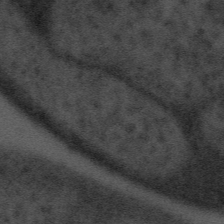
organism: Tuwongella immobilis